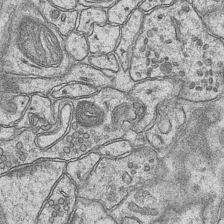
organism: Mouse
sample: CA1 Hippocampus